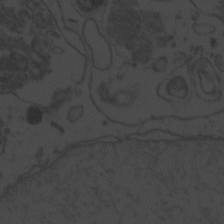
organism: Zebrafish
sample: Macrophage infected with Toxoplasma gondii